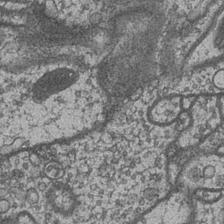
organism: Drosophila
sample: Optic medulla